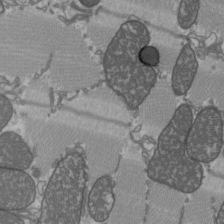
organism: C57BL Mouse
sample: Heart